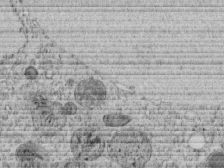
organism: C. elegans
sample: C. elegans embryo early stage